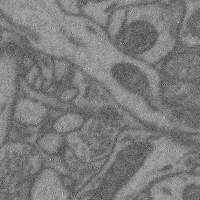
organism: Mouse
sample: Cerebral cortex